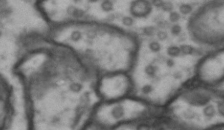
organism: Drosophila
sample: Brain